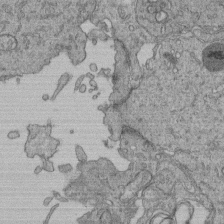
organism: Human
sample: Retinal organoid Rod and Cone cells